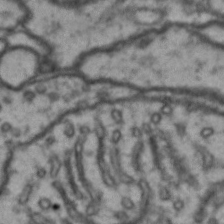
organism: Drosophila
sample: Brain